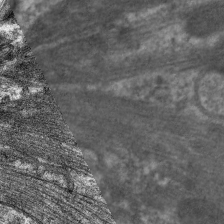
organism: C. elegans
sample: Pharynx